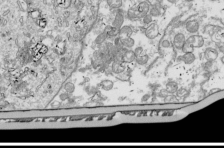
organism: Drosophila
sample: Cell division; meiosis; drosophila spermatocytes